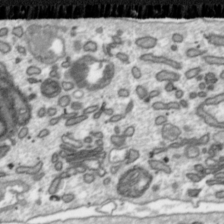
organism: Toxoplasma gondii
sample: Parasites in a vacuole inside a host cell